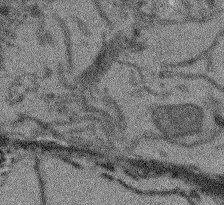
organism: Arabidopsis thaliana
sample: Root tip